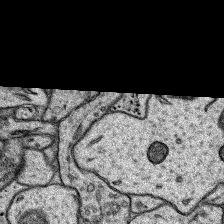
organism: Rat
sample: Hippocampus